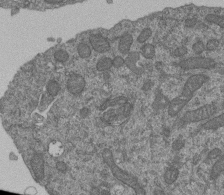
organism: Human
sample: Retinal organoid Rod and Cone cells